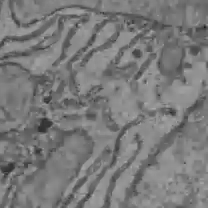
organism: C57BL Mouse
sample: Liver